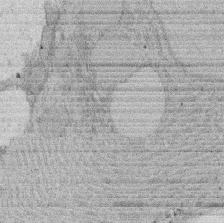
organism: Rat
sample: Salivary granule